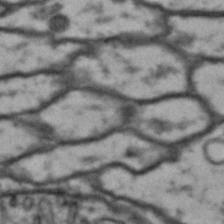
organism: Drosophila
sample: Brain